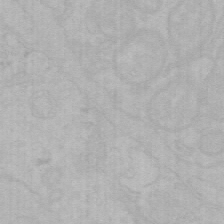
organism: Mouse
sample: Choroid plexus